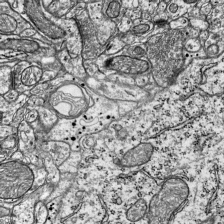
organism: Mouse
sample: Visual Cortex